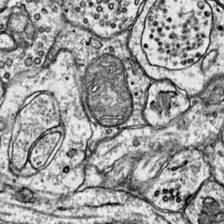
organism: Mouse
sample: Primary visual cortex